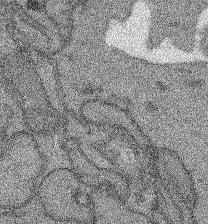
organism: Human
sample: HeLa cells